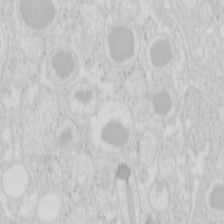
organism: Mouse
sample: Pancreas